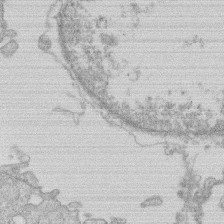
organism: Human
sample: Macrophage cells